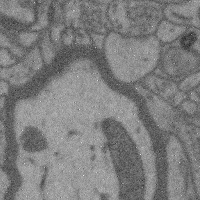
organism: Mouse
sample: Cerebral cortex